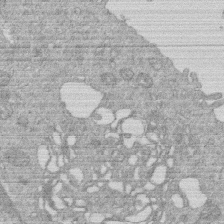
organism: Human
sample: Macrophage cells